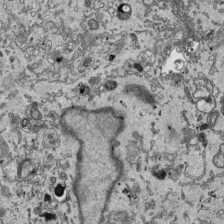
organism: Human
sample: Mitochondria in HCT116 cells